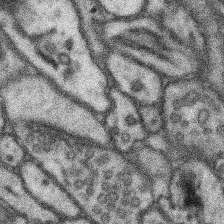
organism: Mouse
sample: Somatosensory cortex neuropil